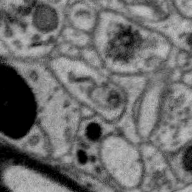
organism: Zebra finch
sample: Brain